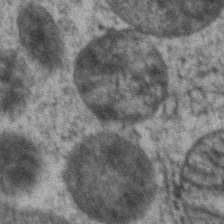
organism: Zebrafish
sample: Zebrafish embryo